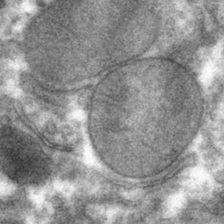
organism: Mouse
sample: Mouse hepatocytes